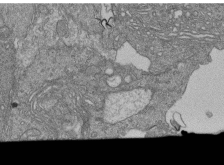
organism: Human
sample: Retinal organoid Rod and Cone cells